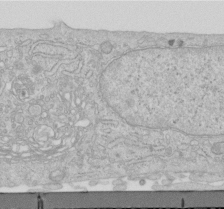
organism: Human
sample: Centriole in RPE cells